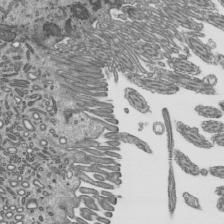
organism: Mouse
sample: Mouse epididymis efferent ductule cilia